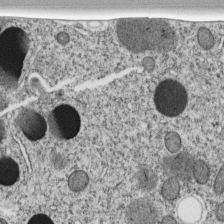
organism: C. elegans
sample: C. elegans embryo early stage